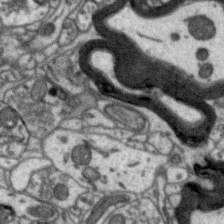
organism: Zebra finch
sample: Brain